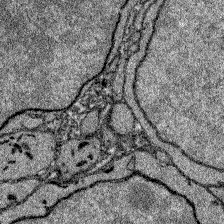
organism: Zebrafish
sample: Larval olfactory bulb